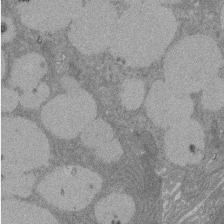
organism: Rat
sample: Salivary granule